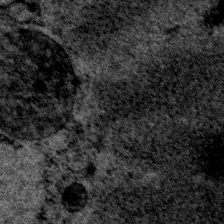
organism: P. pacificus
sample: Pharynx